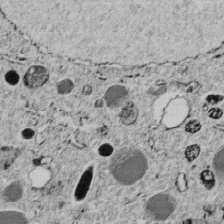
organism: C. elegans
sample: C. elegans embryo early stage